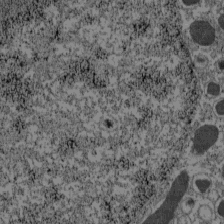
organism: C57BL Mouse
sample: Pancreatic islet